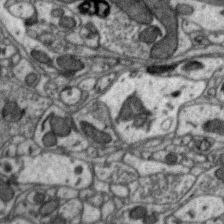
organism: Zebra finch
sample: Brain